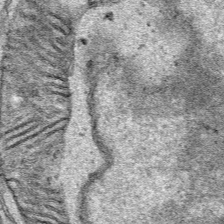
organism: Human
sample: Mitochondria in HCT116 cells